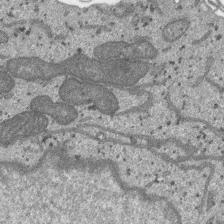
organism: Human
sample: Lung epithelial cells infected with SARS-CoV-2